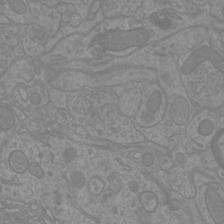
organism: Mouse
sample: Cortical neurons